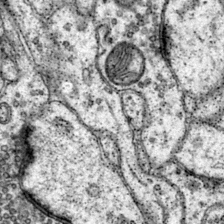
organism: Mouse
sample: Primary visual cortex